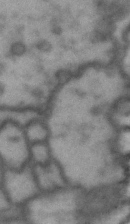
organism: Drosophila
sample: Brain